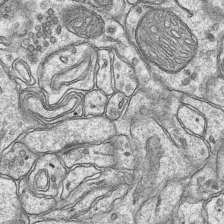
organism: Mouse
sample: CA1 Hippocampus